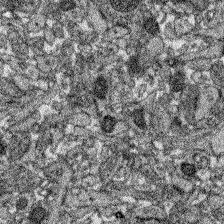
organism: Zebrafish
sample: Larval olfactory bulb